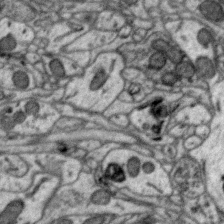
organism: Zebra finch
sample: Brain